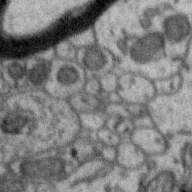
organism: Zebra finch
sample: Brain